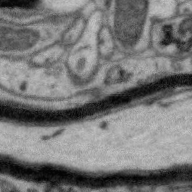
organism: Zebra finch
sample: Brain